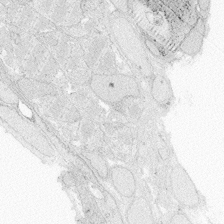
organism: Zebrafish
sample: Whole-Brain